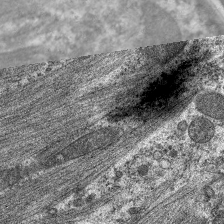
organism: C. elegans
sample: Pharynx